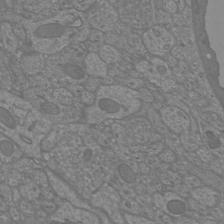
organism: Mouse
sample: Cortical neurons